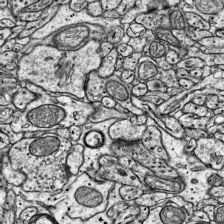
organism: Mouse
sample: Visual Cortex